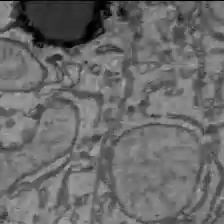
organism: C57BL Mouse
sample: Liver